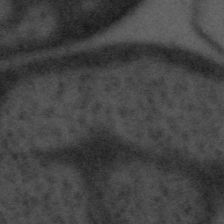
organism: Tuwongella immobilis